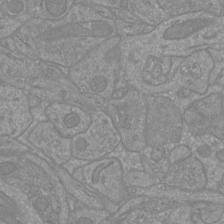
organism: Mouse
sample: Cortical neurons